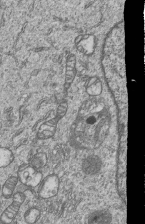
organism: Human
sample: MDA-MB-231 cells